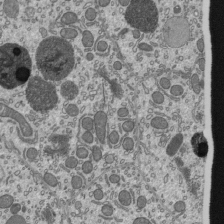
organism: Mouse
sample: Mouse epididymis efferent ductule cilia